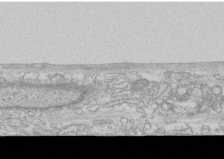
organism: Human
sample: CRL-1474